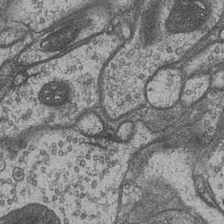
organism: Drosophila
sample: Optic medulla